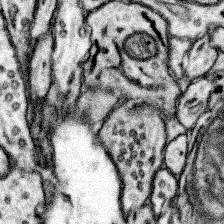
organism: Mouse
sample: Somatosensory cortex neuropil